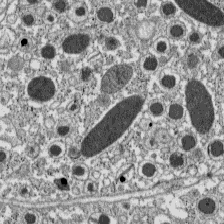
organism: C57BL Mouse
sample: Pancreatic islet